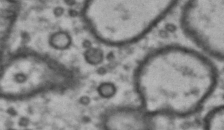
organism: Drosophila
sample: Brain